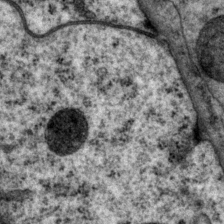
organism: P. pacificus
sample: Pharynx